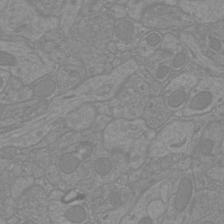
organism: Mouse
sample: Cortical neurons